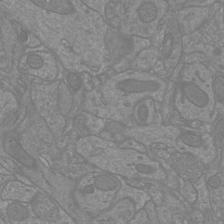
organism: Mouse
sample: Cortical neurons